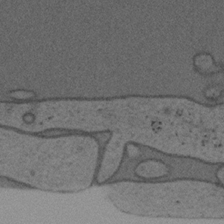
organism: Human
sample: HeLa cells